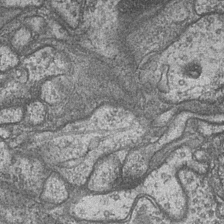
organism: Drosophila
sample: Optic medulla